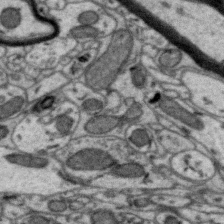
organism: Zebra finch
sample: Brain